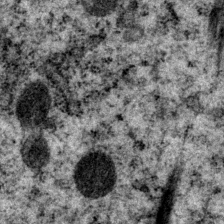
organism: P. pacificus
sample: Pharynx